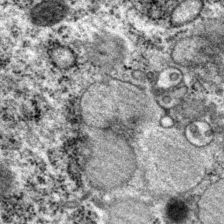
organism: P. pacificus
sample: Pharynx